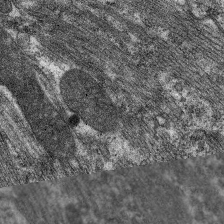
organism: C. elegans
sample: Pharynx